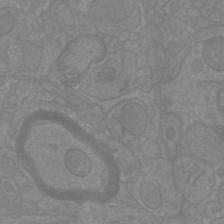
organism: Mouse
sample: Cortical neurons